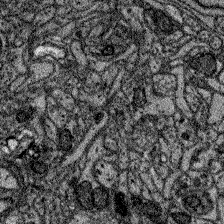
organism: Zebrafish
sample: Larval olfactory bulb